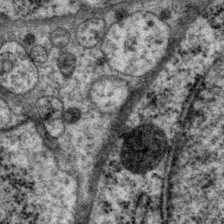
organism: P. pacificus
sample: Pharynx